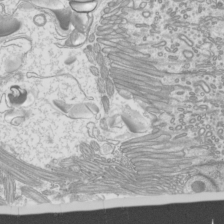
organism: Mouse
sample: Cilia; mouse epididymis